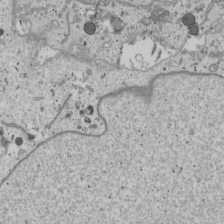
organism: Human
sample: Mitochondria in U2OS cells